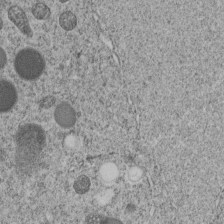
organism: C. elegans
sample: C. elegans embryo early stage